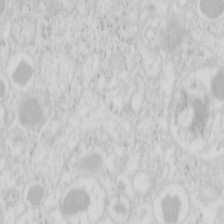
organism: Mouse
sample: Pancreas